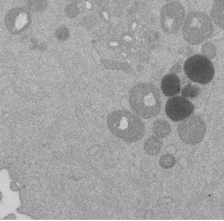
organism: Mouse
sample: Dividing mouse embryo 1 cell stage